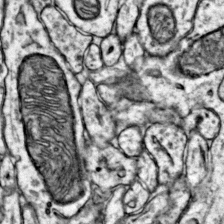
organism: Mouse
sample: Primary visual cortex